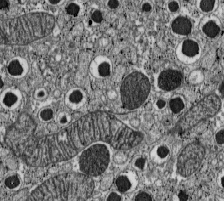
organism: C57BL Mouse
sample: Pancreatic islet